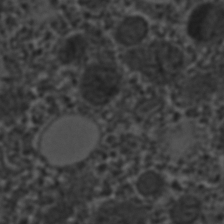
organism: C. elegans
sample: C. elegans embryo